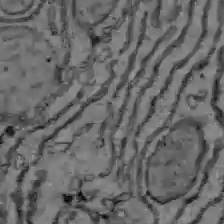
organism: C57BL Mouse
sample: Liver